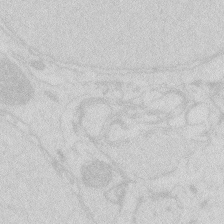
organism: Zebrafish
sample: Macrophage